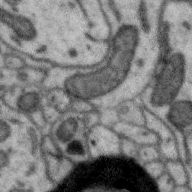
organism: Zebra finch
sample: Brain